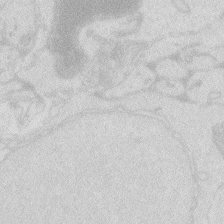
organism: Zebrafish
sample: Macrophage